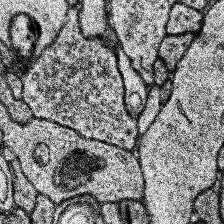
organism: Human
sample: Temporal Lobe